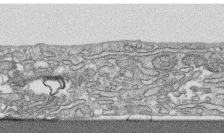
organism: Human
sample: CRL-1474